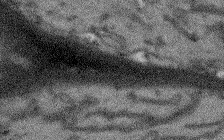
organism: Arabidopsis thaliana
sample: Root tip